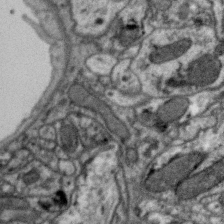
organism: Zebra finch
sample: Brain